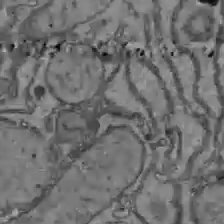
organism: C57BL Mouse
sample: Liver